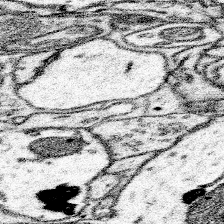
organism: Mouse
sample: Somatosensory cortex neuropil